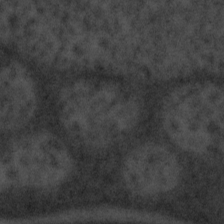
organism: Tuwongella immobilis